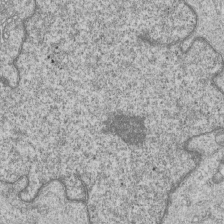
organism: Human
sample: MDA-MB-231 cells